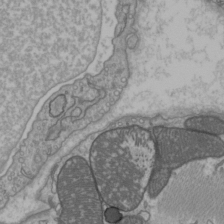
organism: C57BL Mouse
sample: Heart